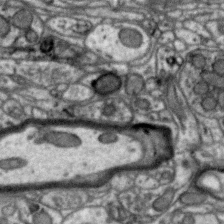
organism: Zebra finch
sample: Brain